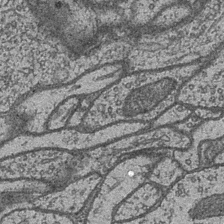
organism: Drosophila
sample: Optic medulla